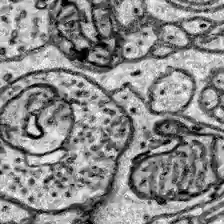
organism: Zebrafish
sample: Brain